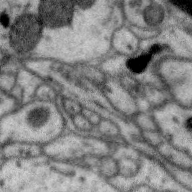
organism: Zebra finch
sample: Brain